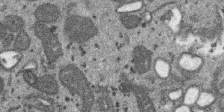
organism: Human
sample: Lung epithelial cells infected with SARS-CoV-2